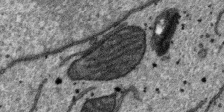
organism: Human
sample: Lung epithelial cells, uninfected (mock) control